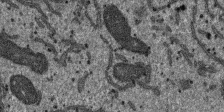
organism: Human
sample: Lung epithelial cells infected with SARS-CoV-2